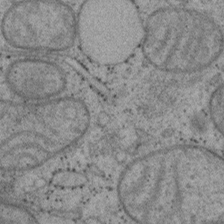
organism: Human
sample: HeLa cells